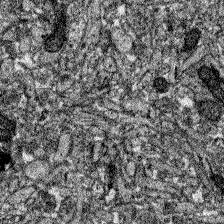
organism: Zebrafish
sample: Larval olfactory bulb